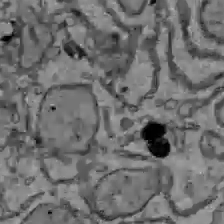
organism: C57BL Mouse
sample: Liver